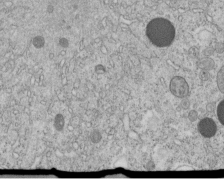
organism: C. elegans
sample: C. elegans embryo early stage